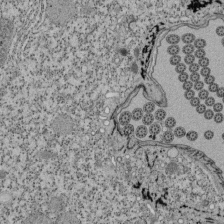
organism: Tetrahymena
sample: Cilia in tetrahymena